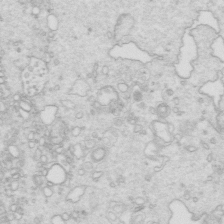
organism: Mouse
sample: Multiciliated cells